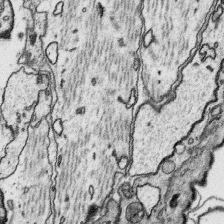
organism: Platynereis dumerilii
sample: Parapodia